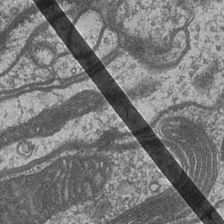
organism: Drosophila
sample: Optic medulla